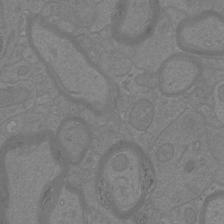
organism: Mouse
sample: Cortical neurons